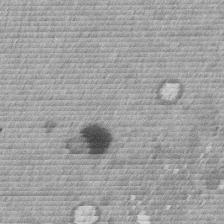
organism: Mouse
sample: Dividing mouse embryo 1 cell stage